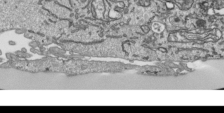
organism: Human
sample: Mitochondria in HCT116 cells